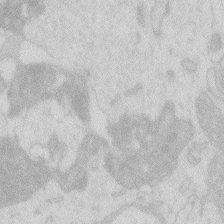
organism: Zebrafish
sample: Macrophage